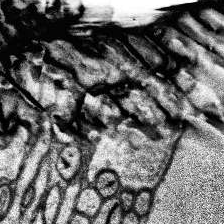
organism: Human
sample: Temporal Lobe